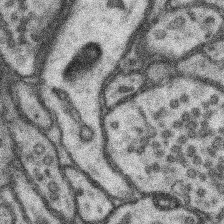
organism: Mouse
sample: Somatosensory cortex neuropil